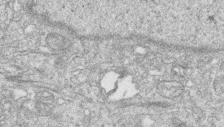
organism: Human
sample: HeLa cell HIV synapse